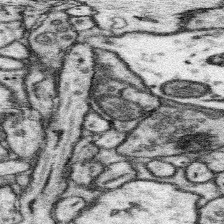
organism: Mouse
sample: Somatosensory cortex neuropil